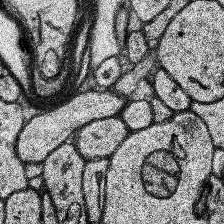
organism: Human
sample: Temporal Lobe